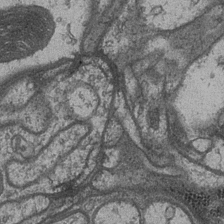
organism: Drosophila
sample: Optic medulla